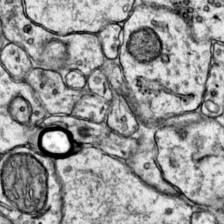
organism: Mouse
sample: Primary visual cortex